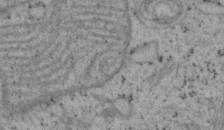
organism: Human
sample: HeLa cells